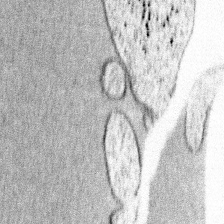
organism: Human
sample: HeLa cells